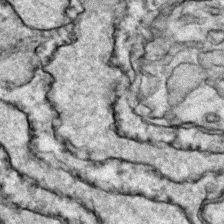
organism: Zebrafish